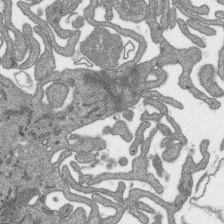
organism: Human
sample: Lung epithelial cells infected with SARS-CoV-2